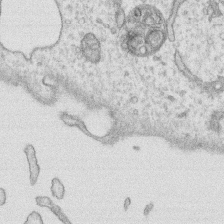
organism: Human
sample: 1205lu cells